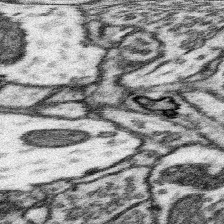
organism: Mouse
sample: Somatosensory cortex neuropil